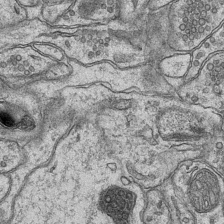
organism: Mouse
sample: CA1 Hippocampus